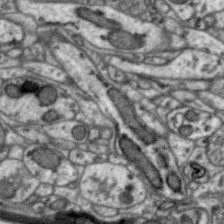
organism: Zebra finch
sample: Brain